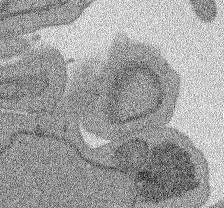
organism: Human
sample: HeLa cells